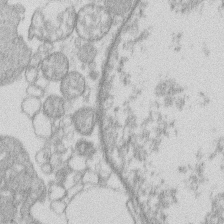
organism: Human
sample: Macrophage cells